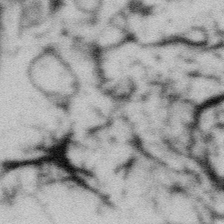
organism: Gemmata obscuriglobus